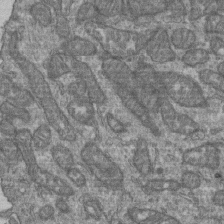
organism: Human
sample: Retinal organoid Rod and Cone cells